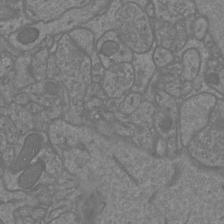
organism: Mouse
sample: Cortical neurons